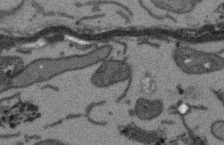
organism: Arabidopsis thaliana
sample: Root tip